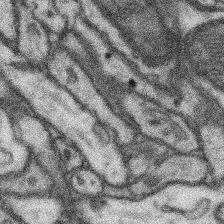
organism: Mouse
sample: Somatosensory cortex neuropil